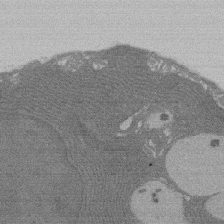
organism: Rat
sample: Salivary granule